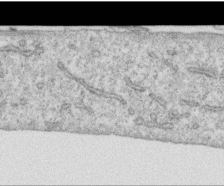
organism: Human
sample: Centriole in RPE cells